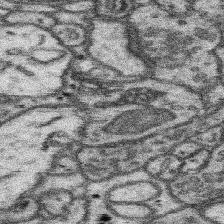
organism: Mouse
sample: Somatosensory cortex neuropil